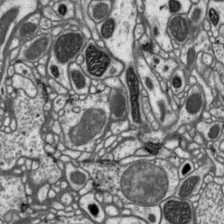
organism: Drosophila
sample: Protocerebral bridge